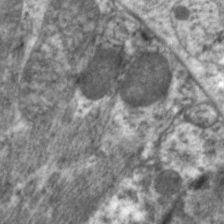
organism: C. elegans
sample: Pharynx